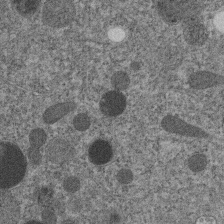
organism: C. elegans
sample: C. elegans embryo early stage